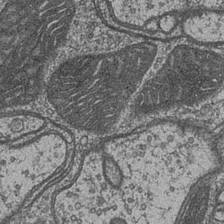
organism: Drosophila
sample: Optic medulla